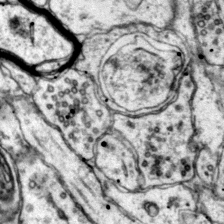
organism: Mouse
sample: Primary visual cortex